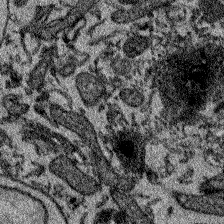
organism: Zebrafish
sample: Larval olfactory bulb